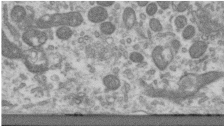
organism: Human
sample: Centriole in RPE cells